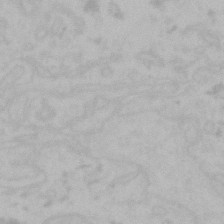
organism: Mouse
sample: Choroid plexus